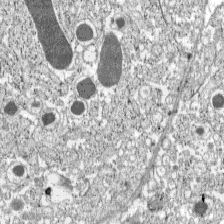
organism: C57BL Mouse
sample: Pancreatic islet